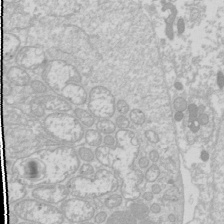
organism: Drosophila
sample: Cell division; meiosis; drosophila spermatocytes